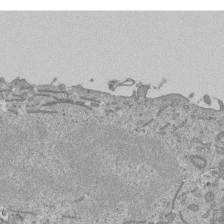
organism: Mouse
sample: ED-1 cell nuclei; centrioles